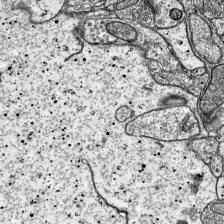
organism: Mouse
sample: Visual Cortex